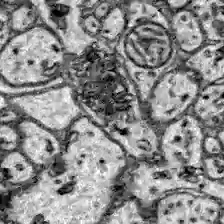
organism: Zebrafish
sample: Brain